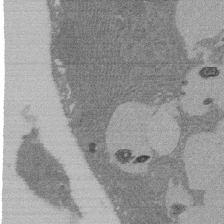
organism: Rat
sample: Salivary granule